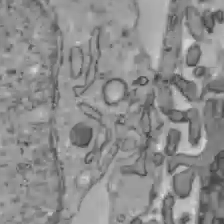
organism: C57BL Mouse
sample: Liver